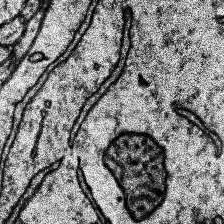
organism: Human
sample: Temporal Lobe